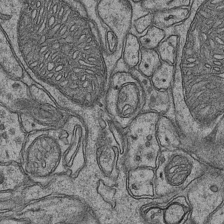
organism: Mouse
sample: CA1 Hippocampus